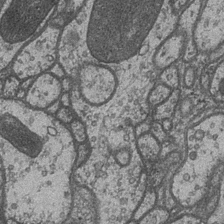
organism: Drosophila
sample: Optic medulla